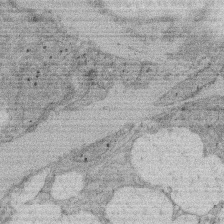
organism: Rat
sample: Salivary granule